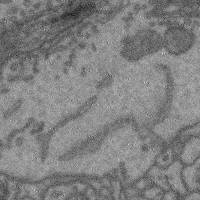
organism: Mouse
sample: Cerebral cortex